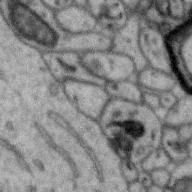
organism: Zebra finch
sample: Brain